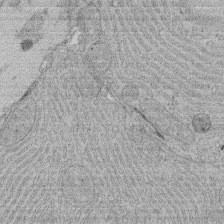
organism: Rat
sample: Salivary granule